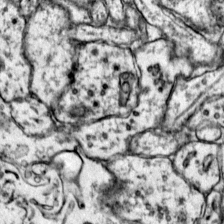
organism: Mouse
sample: Primary visual cortex